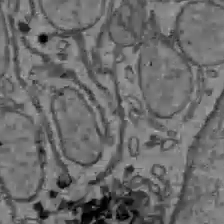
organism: C57BL Mouse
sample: Liver